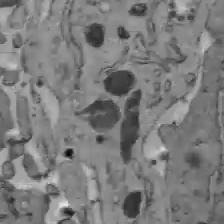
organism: C57BL Mouse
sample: Liver